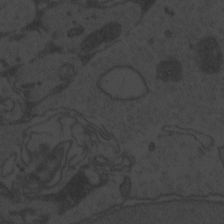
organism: Zebrafish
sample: Macrophage infected with Toxoplasma gondii